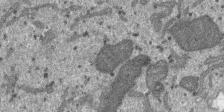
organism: Human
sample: Lung epithelial cells infected with SARS-CoV-2